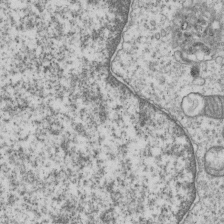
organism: Human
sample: MDA-MB-231 cells